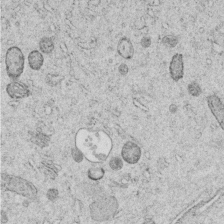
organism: C. elegans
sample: C. elegans embryo early stage